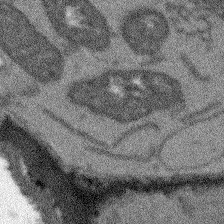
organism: Arabidopsis thaliana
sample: Root tip